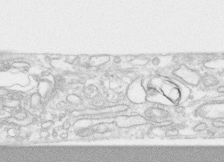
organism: Human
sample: CRL-1474